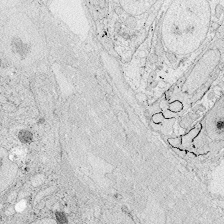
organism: Zebrafish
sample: Whole-Brain